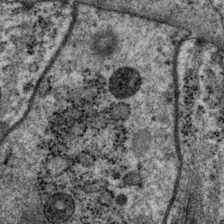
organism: P. pacificus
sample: Pharynx